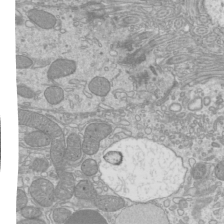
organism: Mouse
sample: Cilia; mouse epididymis